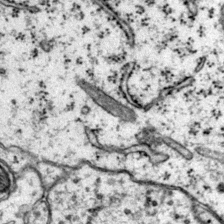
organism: Mouse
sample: Primary visual cortex